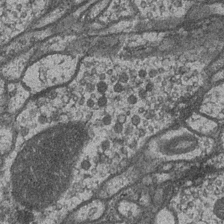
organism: Drosophila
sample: Optic medulla